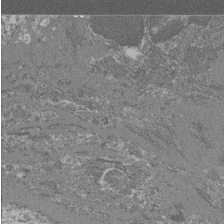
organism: Mouse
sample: Glomerulus